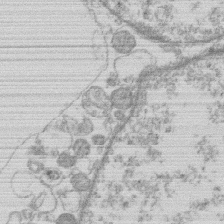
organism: Human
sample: Macrophage cells